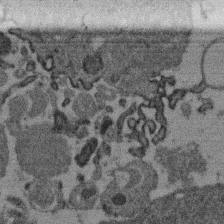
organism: Mouse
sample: Dividing mouse embryo 1 cell stage